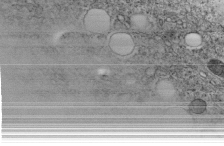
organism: C. elegans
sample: C. elegans embryo early stage